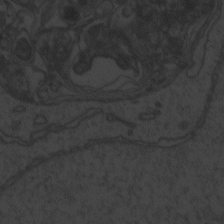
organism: Zebrafish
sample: Macrophage infected with Toxoplasma gondii